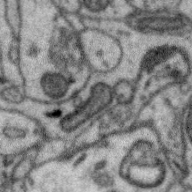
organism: Zebra finch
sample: Brain